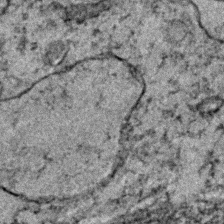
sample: Trachea